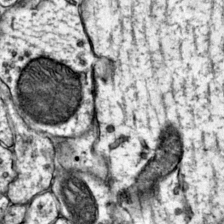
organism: Mouse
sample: Primary visual cortex